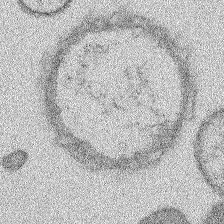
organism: Human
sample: HeLa cells